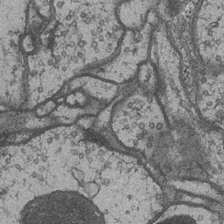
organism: Drosophila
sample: Optic medulla